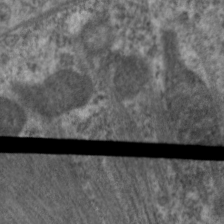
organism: C. elegans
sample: Pharynx